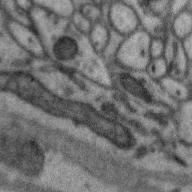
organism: Zebra finch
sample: Brain